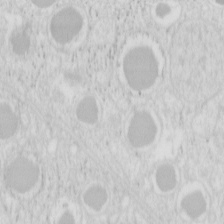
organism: Mouse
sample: Pancreas